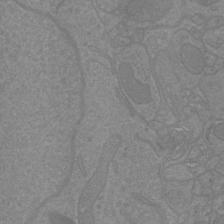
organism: Mouse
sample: Cortical neurons